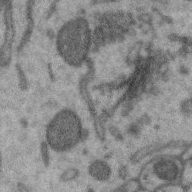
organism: Zebra finch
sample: Brain